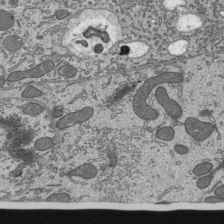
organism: Mouse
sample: Mouse epididymis efferent ductule cilia